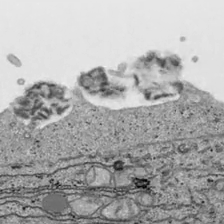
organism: Human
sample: HeLa cells